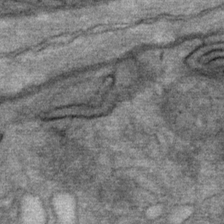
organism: Mouse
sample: Mouse Salivary gland